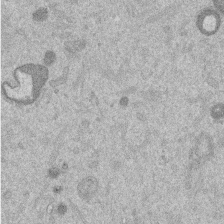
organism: Mouse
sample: Dividing mouse embryo 1 cell stage